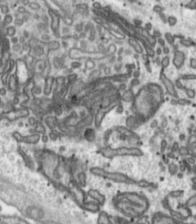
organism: Toxoplasma gondii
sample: Parasites in a vacuole inside a host cell